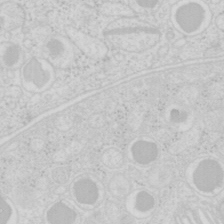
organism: Mouse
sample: Pancreas